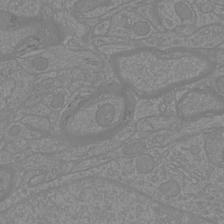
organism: Mouse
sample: Cortical neurons